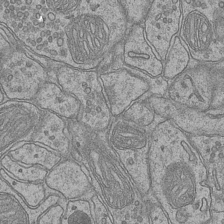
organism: Mouse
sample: CA1 Hippocampus